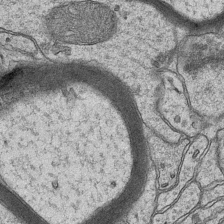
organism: Mouse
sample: CA1 Hippocampus